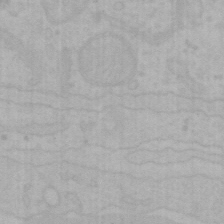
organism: Mouse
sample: Choroid plexus